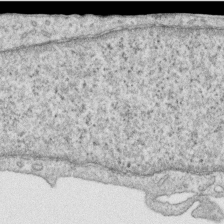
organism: Human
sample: Centriole in RPE cells